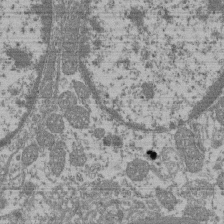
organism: Mouse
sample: Glomerulus